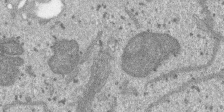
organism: Human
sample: Lung epithelial cells infected with SARS-CoV-2